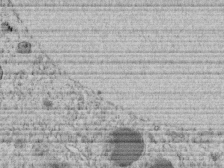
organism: C. elegans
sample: C. elegans embryo early stage